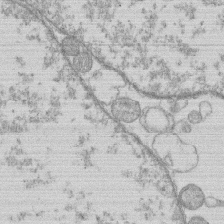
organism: Human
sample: Macrophage cells